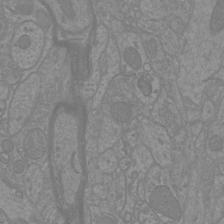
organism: Mouse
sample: Cortical neurons